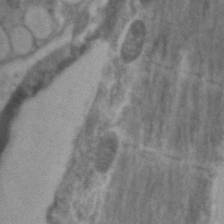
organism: Zebrafish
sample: Zebrafish embryo